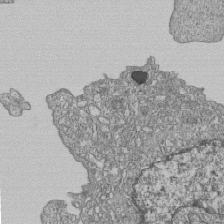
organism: Human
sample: MDA-MB-231 cells